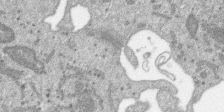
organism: Human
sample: Lung epithelial cells infected with SARS-CoV-2